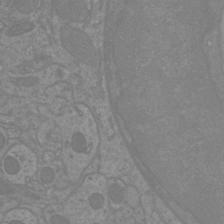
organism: Mouse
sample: Cortical neurons